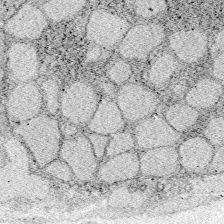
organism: Zebrafish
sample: Whole-Brain